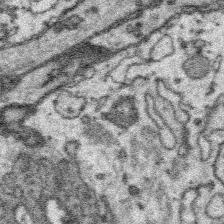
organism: Platynereis dumerilii